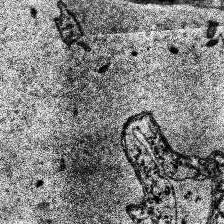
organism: Human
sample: Temporal Lobe